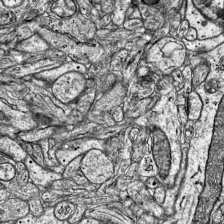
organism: Mouse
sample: Visual Cortex